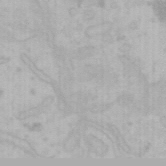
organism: Mouse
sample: Choroid plexus